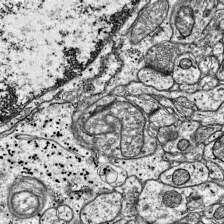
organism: Mouse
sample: Visual Cortex